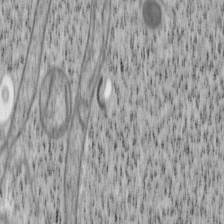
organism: Human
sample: HeLa cells